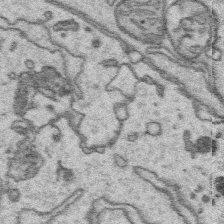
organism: Platynereis dumerilii